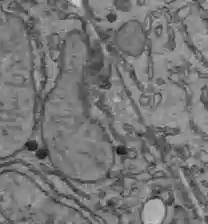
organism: C57BL Mouse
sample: Liver